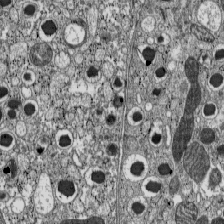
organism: C57BL Mouse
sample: Pancreatic islet